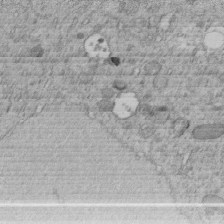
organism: C. elegans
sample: C. elegans embryo early stage